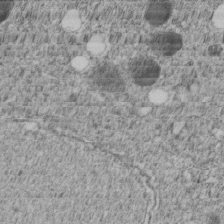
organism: C. elegans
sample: C. elegans embryo early stage